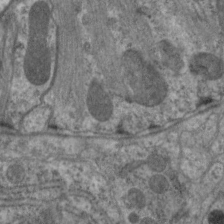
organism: C. elegans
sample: Pharynx